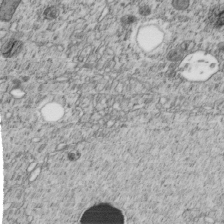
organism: C. elegans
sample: C. elegans embryo early stage